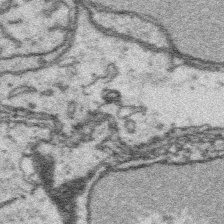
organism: Platynereis dumerilii